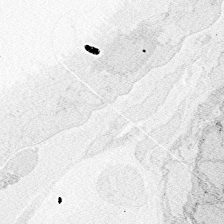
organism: Zebrafish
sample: Whole-Brain